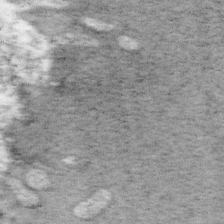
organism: Mouse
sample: OT-I killer T cells with ID8 ovarian cancer cells